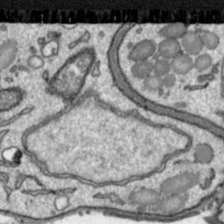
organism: Toxoplasma gondii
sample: Parasites in a vacuole inside a host cell